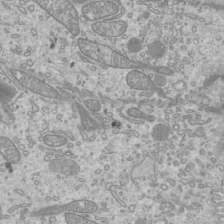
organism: Mouse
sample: Cilia; mouse epididymis